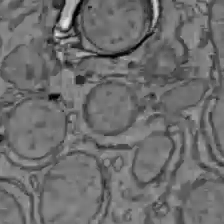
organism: C57BL Mouse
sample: Liver